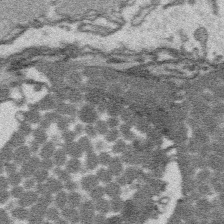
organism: Platynereis dumerilii